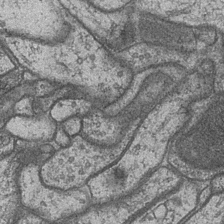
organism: Drosophila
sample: Optic medulla